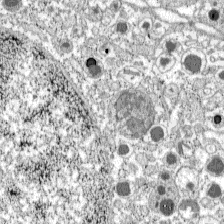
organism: C57BL Mouse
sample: Pancreatic islet